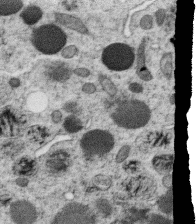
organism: C. elegans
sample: C. elegans oocyte; sperm cells